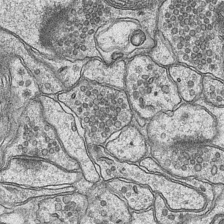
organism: Mouse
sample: CA1 Hippocampus